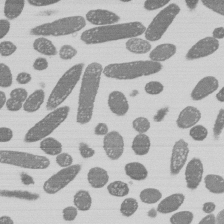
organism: E. coli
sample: Bacterial nucleoid